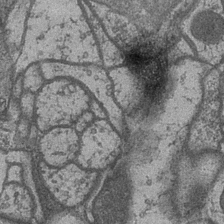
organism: Drosophila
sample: Optic medulla